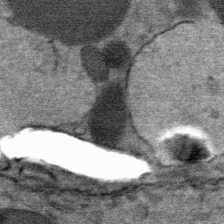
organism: Mouse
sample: Mouse Salivary gland